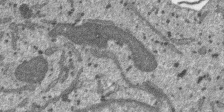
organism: Human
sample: Lung epithelial cells infected with SARS-CoV-2